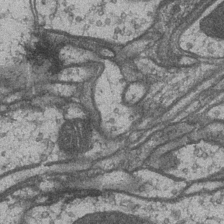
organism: Drosophila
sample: Optic medulla